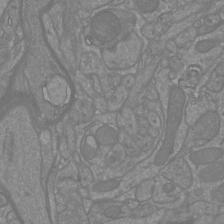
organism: Mouse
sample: Cortical neurons